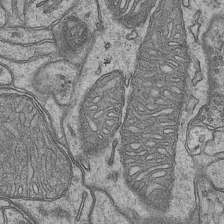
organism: Mouse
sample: CA1 Hippocampus